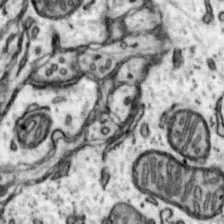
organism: Mouse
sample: Nucleus accumbens